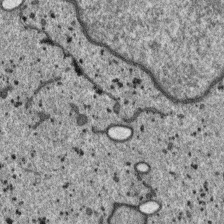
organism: Human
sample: Lung epithelial cells infected with SARS-CoV-2